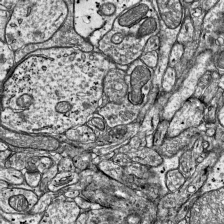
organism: Mouse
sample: Visual Cortex